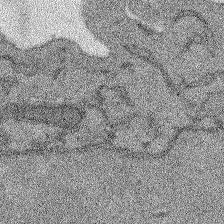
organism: Human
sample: HeLa cells